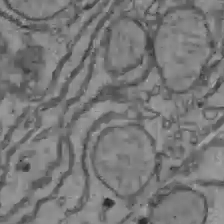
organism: C57BL Mouse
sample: Liver